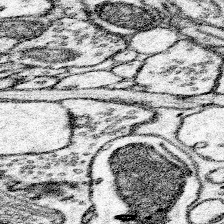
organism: Mouse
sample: Somatosensory cortex neuropil